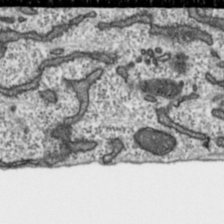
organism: Toxoplasma gondii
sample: Parasites in a vacuole inside a host cell